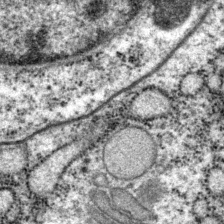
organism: P. pacificus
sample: Pharynx